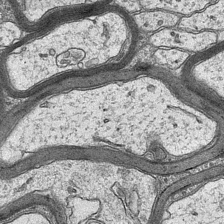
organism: Mouse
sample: CA1 Hippocampus